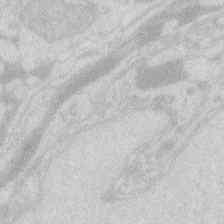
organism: Zebrafish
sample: Macrophage